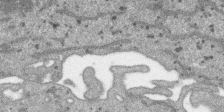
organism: Human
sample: Lung epithelial cells infected with SARS-CoV-2